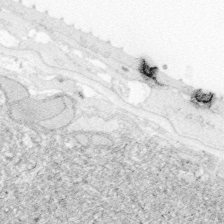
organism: Zebrafish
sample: Whole-Brain